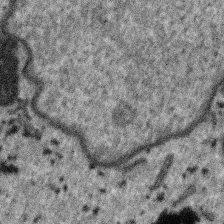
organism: Human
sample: Lung epithelial cells infected with SARS-CoV-2